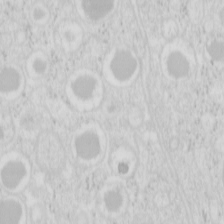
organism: Mouse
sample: Pancreas